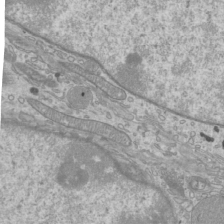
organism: Mouse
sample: Cilia; mouse epididymis